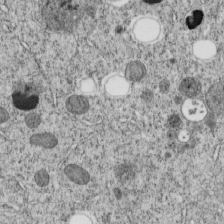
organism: C. elegans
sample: C. elegans embryo early stage